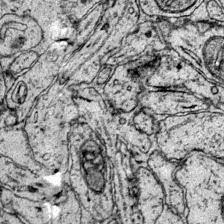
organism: Mouse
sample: Primary visual cortex